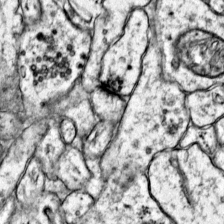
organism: Mouse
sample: Primary visual cortex